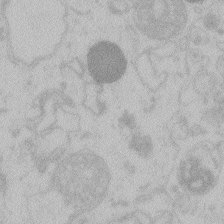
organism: Zebrafish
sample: Macrophage infected with Toxoplasma gondii